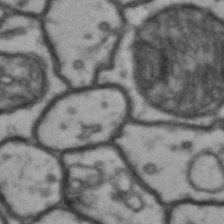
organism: Drosophila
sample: Brain